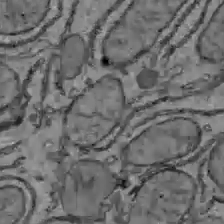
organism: C57BL Mouse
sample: Liver